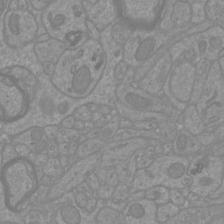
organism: Mouse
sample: Cortical neurons